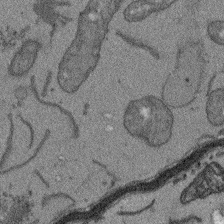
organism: Arabidopsis thaliana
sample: Root tip